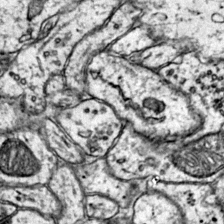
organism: Mouse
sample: Primary visual cortex